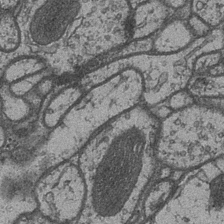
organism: Drosophila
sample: Optic medulla